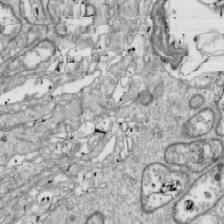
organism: Drosophila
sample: Cell division; meiosis; drosophila spermatocytes